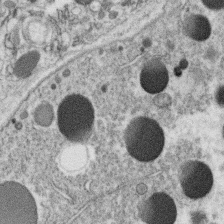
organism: C. elegans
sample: C. elegans oocyte; sperm cells